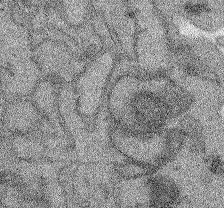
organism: Human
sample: HeLa cells